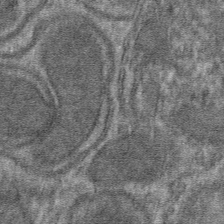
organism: Mouse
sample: Mouse hepatocytes